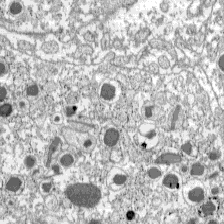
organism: C57BL Mouse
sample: Pancreatic islet